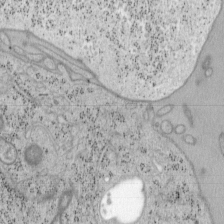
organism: Mouse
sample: OT-I killer T cells with ID8 ovarian cancer cells